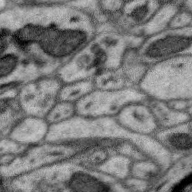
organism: Zebra finch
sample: Brain